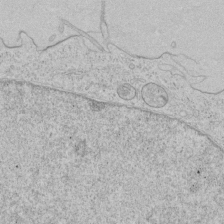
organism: Human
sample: Mitochondria in HCT116 cells